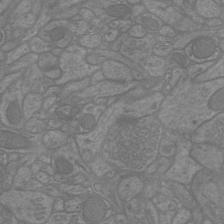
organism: Mouse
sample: Cortical neurons